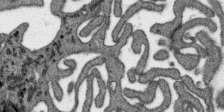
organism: Human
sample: Lung epithelial cells, uninfected (mock) control